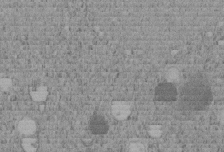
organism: C. elegans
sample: C. elegans embryo early stage